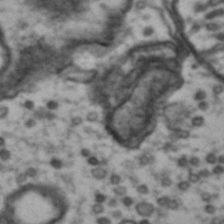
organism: Drosophila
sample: Brain